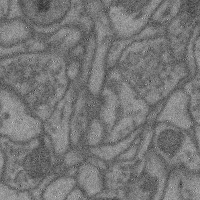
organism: Mouse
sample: Cerebral cortex